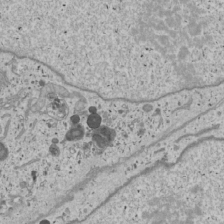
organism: Human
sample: Mitochondria in U2OS cells